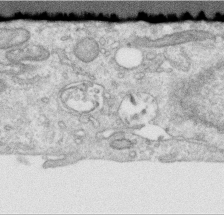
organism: Human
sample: Centriole in RPE cells